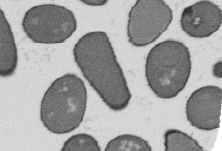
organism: B. subtilis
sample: Bacterial spore